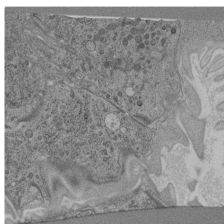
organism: C. elegans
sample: C. elegans pharynx